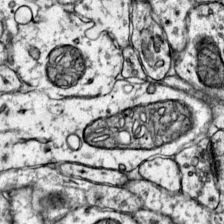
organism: Mouse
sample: Primary visual cortex